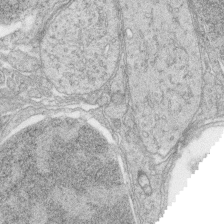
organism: Zebrafish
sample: synaptic ribbons in rod cells and cone cells